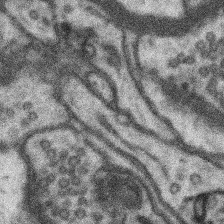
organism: Mouse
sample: Somatosensory cortex neuropil